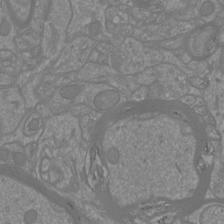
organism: Mouse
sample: Cortical neurons